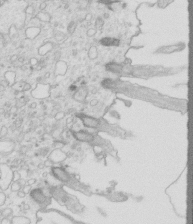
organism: Mouse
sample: Multiciliated cells